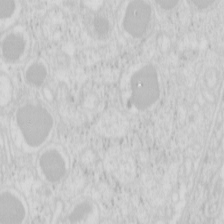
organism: Mouse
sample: Pancreas